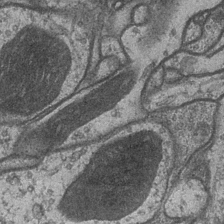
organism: Drosophila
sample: Optic medulla